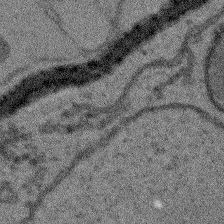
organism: Arabidopsis thaliana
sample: Root tip